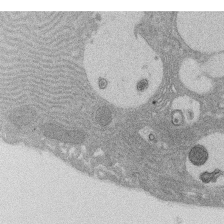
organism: Rat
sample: Salivary granule